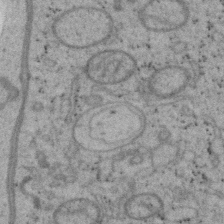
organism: Human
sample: HeLa cells